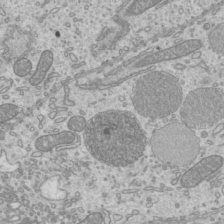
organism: Mouse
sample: Cilia; mouse epididymis